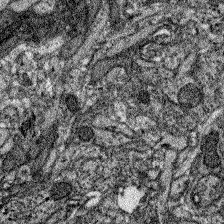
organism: Zebrafish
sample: Larval olfactory bulb